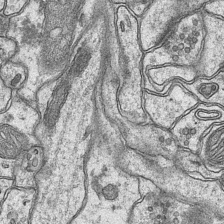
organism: Mouse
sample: CA1 Hippocampus